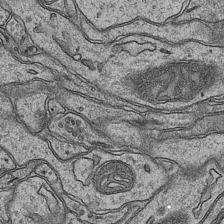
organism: Mouse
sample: CA1 Hippocampus